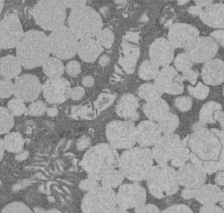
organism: Rat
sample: Salivary granule